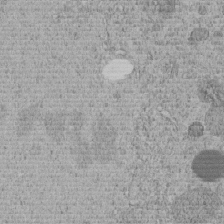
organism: C. elegans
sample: C. elegans embryo early stage